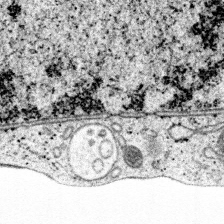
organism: Human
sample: HeLa cells